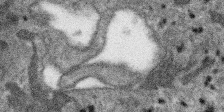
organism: Human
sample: Lung epithelial cells infected with SARS-CoV-2